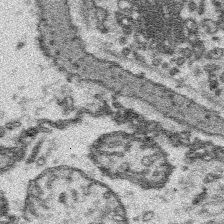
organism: Platynereis dumerilii